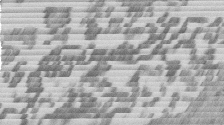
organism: Mouse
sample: Dividing mouse embryo 1 cell stage